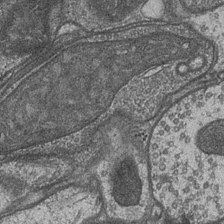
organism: Drosophila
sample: Optic medulla